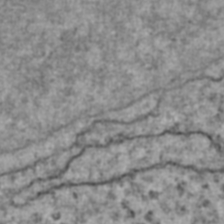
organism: Human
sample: Blood